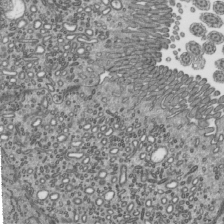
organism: Mouse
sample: Mouse epididymis efferent ductule cilia